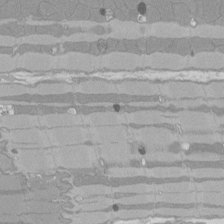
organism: Rat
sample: Left ventricle